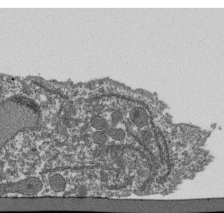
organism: Dictyostelium discoideum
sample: Dictyostelium multivesicular bodies